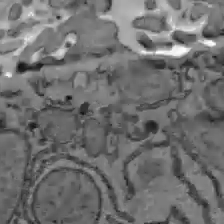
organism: C57BL Mouse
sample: Liver